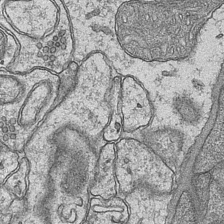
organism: Mouse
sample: CA1 Hippocampus